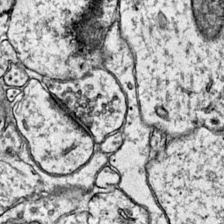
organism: Mouse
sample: Primary visual cortex